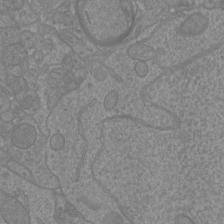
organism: Mouse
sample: Cortical neurons